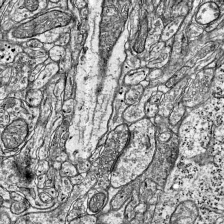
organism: Mouse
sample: Visual Cortex